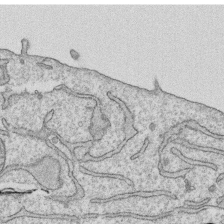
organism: Human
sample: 1205lu cells